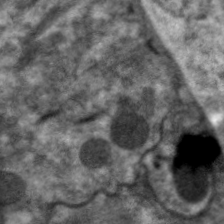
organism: C. elegans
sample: Pharynx